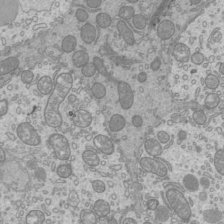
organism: Mouse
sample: Cilia; mouse epididymis